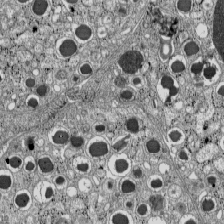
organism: C57BL Mouse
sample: Pancreatic islet